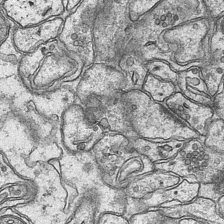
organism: Mouse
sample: CA1 Hippocampus